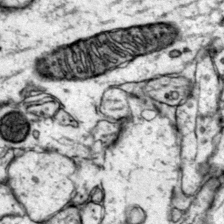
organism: Mouse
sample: Primary visual cortex